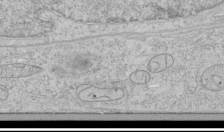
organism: Human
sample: Mitochondria in HCT116 cells